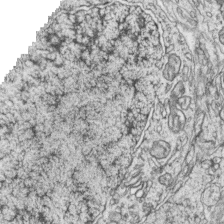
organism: Zebrafish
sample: synaptic ribbons in rod cells and cone cells